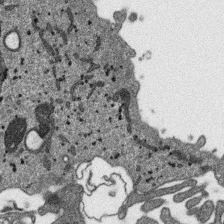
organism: Human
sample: Lung epithelial cells infected with SARS-CoV-2